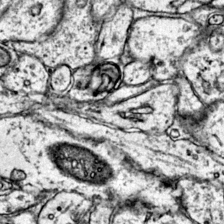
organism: Mouse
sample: Primary visual cortex